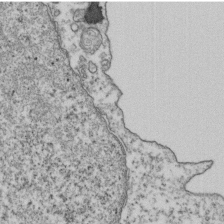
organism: Human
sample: Activated Jurkat CD4+ T cells